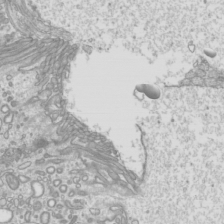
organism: Mouse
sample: Cilia; mouse epididymis